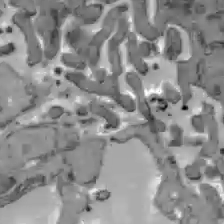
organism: C57BL Mouse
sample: Liver